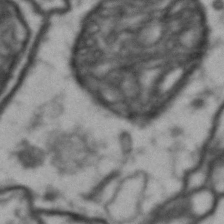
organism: Drosophila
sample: Brain